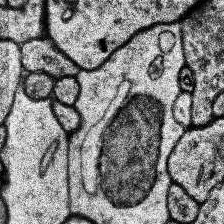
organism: Human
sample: Temporal Lobe